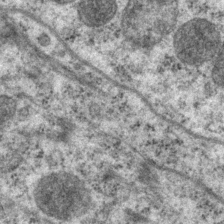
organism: P. pacificus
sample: Pharynx